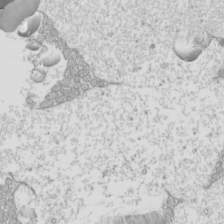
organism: Mouse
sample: Cilia; mouse epididymis